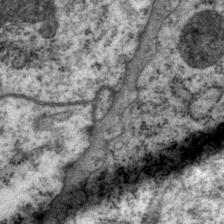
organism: P. pacificus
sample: Pharynx